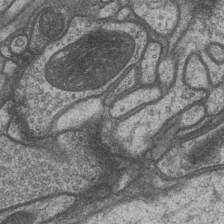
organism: Drosophila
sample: Optic medulla